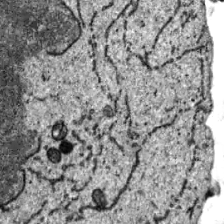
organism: Human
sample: HeLa cells